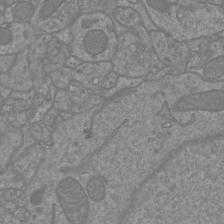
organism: Mouse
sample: Cortical neurons